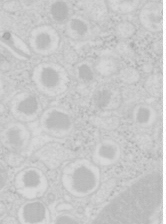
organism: Mouse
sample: Pancreas